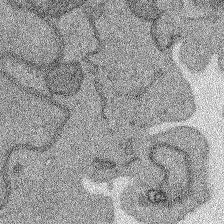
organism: Human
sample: HeLa cells